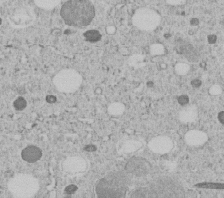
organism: C. elegans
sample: C. elegans embryo early stage